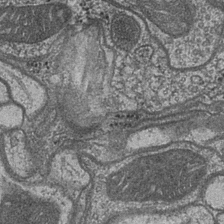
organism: Drosophila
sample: Optic medulla